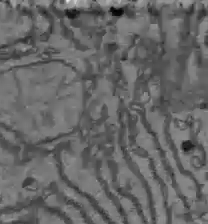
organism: C57BL Mouse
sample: Liver